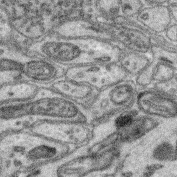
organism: Mouse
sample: Retina